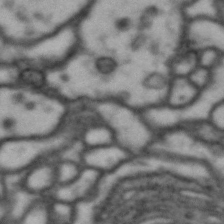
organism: Drosophila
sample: Brain